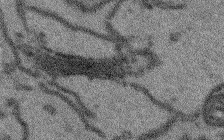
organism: Arabidopsis thaliana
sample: Root tip